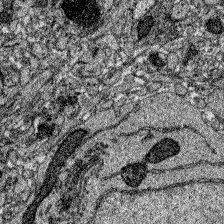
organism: Zebrafish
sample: Larval olfactory bulb